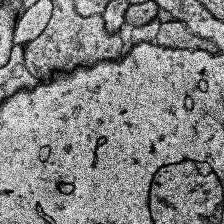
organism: Human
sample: Temporal Lobe